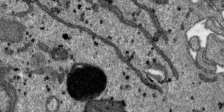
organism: Human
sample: Lung epithelial cells, uninfected (mock) control